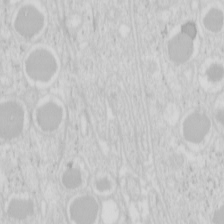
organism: Mouse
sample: Pancreas